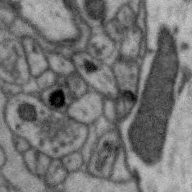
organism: Zebra finch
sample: Brain